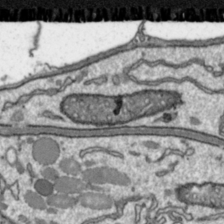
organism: Toxoplasma gondii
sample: Parasites in a vacuole inside a host cell